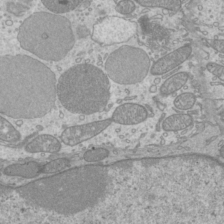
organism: Mouse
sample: Cilia; mouse epididymis